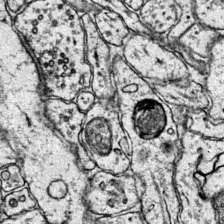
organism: Mouse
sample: Primary visual cortex